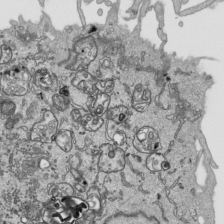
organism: Human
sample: Mitochondria in HCT116 cells